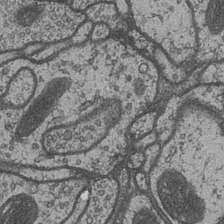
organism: Drosophila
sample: Optic medulla